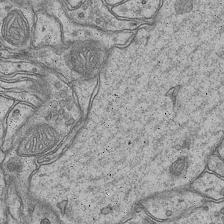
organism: Mouse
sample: CA1 Hippocampus